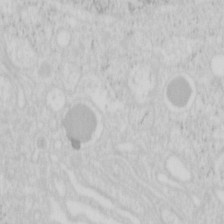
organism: Mouse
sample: Pancreas